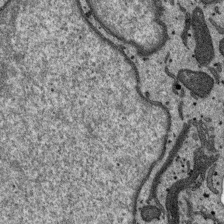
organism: Human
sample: Lung epithelial cells, uninfected (mock) control